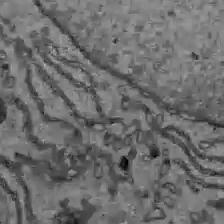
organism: C57BL Mouse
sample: Liver